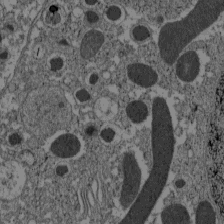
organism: C57BL Mouse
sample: Pancreatic islet